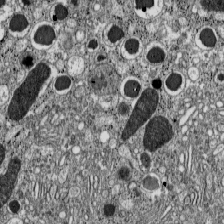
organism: C57BL Mouse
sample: Pancreatic islet